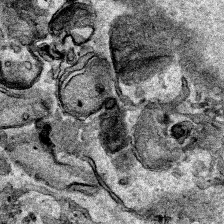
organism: Human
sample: Mitochondria in HCT116 cells